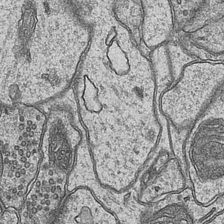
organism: Mouse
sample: CA1 Hippocampus